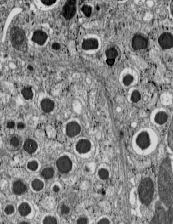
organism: C57BL Mouse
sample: Pancreatic islet